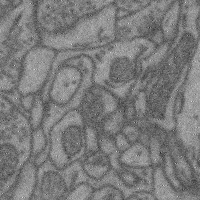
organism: Mouse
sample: Cerebral cortex